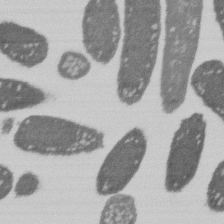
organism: E. coli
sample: Bacterial nucleoid